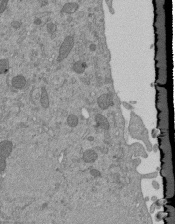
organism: Mouse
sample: ED-1 cell nuclei; centrioles